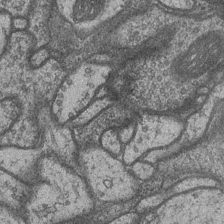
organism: Drosophila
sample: Optic medulla